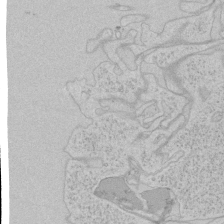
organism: Human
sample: Mitochondria in HCT116 cells